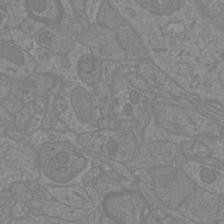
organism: Mouse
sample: Cortical neurons